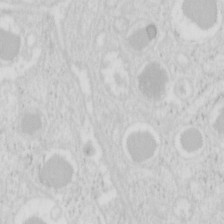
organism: Mouse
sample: Pancreas